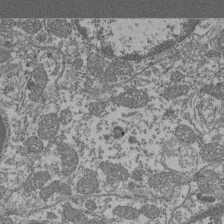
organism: Mouse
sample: Glomerulus